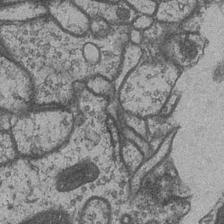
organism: Drosophila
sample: Optic medulla